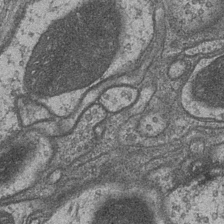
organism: Drosophila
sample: Optic medulla